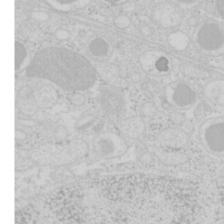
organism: Mouse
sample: Pancreas